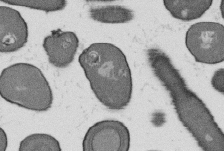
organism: B. subtilis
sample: Bacterial spore